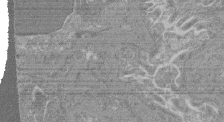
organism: Mouse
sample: Glomerulus